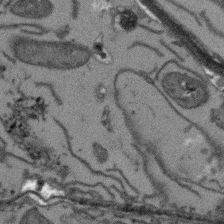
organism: Arabidopsis thaliana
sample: Root tip